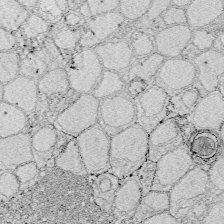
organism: Zebrafish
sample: Whole-Brain